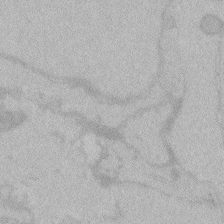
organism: Zebrafish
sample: Macrophage infected with Toxoplasma gondii